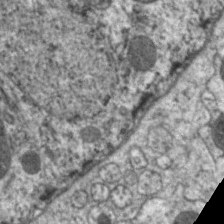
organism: C. elegans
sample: Pharynx